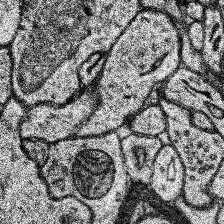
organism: Human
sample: Temporal Lobe